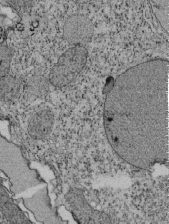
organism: Tetrahymena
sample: Cilia in tetrahymena